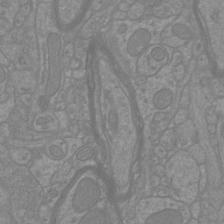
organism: Mouse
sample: Cortical neurons